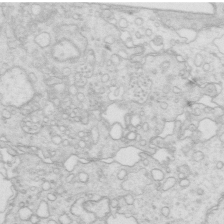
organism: Mouse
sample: Multiciliated cells